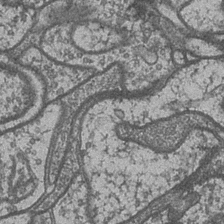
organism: Drosophila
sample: Optic medulla